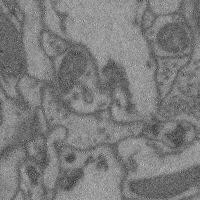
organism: Mouse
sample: Cerebral cortex